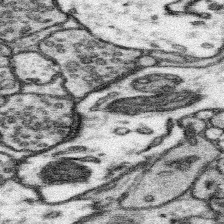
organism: Mouse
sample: Somatosensory cortex neuropil